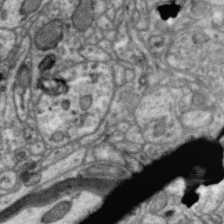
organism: Zebra finch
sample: Brain